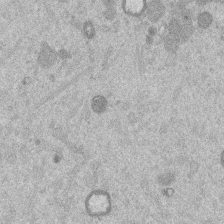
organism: Mouse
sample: Dividing mouse embryo 1 cell stage